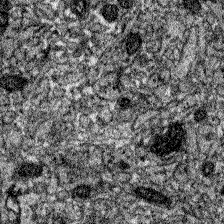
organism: Zebrafish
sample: Larval olfactory bulb